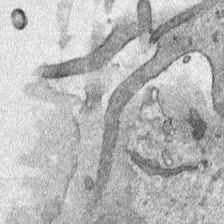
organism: Human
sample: Mitochondria in HCT116 cells